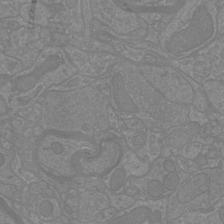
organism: Mouse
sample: Cortical neurons